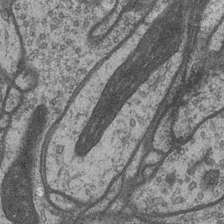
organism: Drosophila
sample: Optic medulla